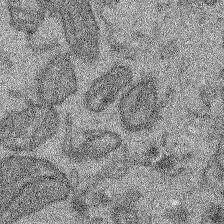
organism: Human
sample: HeLa cells